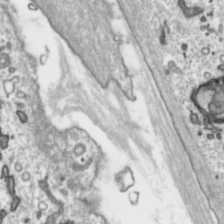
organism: Toxoplasma gondii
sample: Parasites in a vacuole inside a host cell